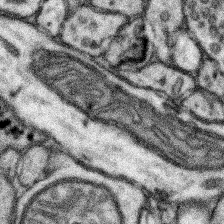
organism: Mouse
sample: Somatosensory cortex neuropil